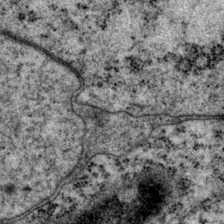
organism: P. pacificus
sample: Pharynx